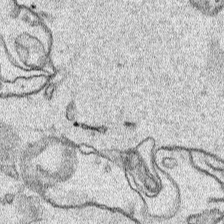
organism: Human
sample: Mitochondria in HCT116 cells